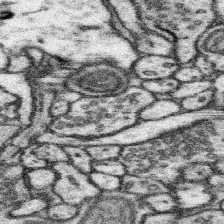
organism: Mouse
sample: Somatosensory cortex neuropil